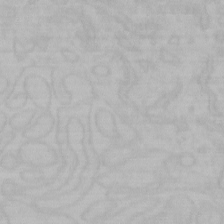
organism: Mouse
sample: Choroid plexus